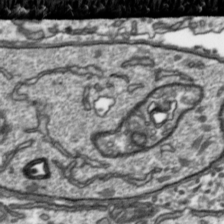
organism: Toxoplasma gondii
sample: Parasites in a vacuole inside a host cell